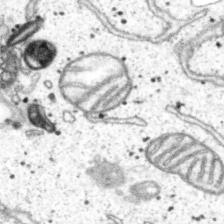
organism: Human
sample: HeLa cells